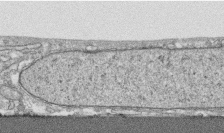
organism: Human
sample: CRL-1474